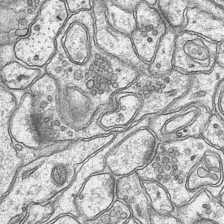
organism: Mouse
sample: CA1 Hippocampus